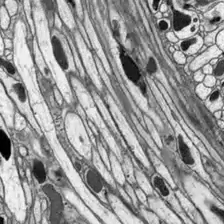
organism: Drosophila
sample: Optic lobe